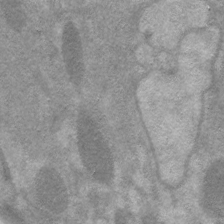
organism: C. elegans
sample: Pharynx